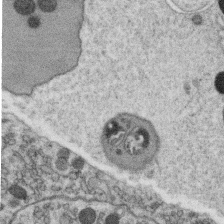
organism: C. elegans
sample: C. elegans oocyte; sperm cells